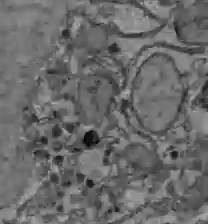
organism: C57BL Mouse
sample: Liver